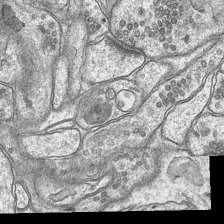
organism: Mouse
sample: CA1 Hippocampus